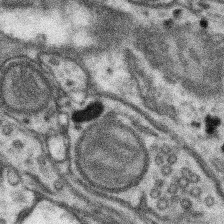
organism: Mouse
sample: Somatosensory cortex neuropil